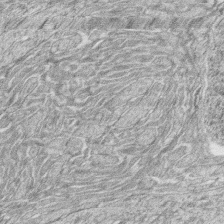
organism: Zebrafish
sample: synaptic ribbons in rod cells and cone cells